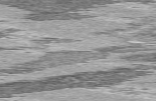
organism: C57BL Mouse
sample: Heart